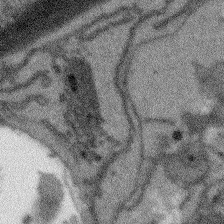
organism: Arabidopsis thaliana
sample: Root tip